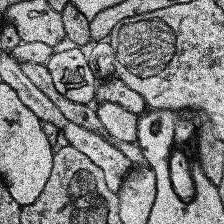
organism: Human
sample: Temporal Lobe